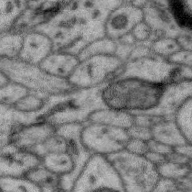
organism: Zebra finch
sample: Brain